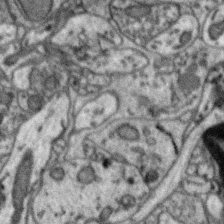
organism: Zebra finch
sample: Brain